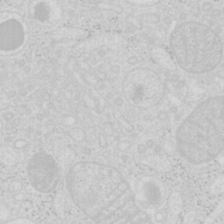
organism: Mouse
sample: Pancreas